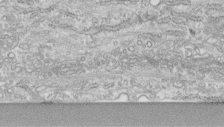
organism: Human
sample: Centriole in fibroblast cells